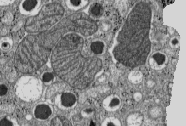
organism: C57BL Mouse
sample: Pancreatic islet